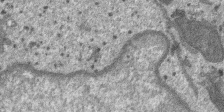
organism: Human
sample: Lung epithelial cells infected with SARS-CoV-2